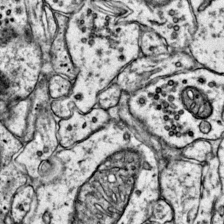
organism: Mouse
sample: Primary visual cortex